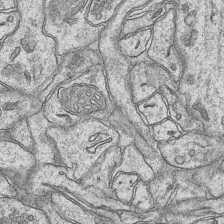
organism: Mouse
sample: CA1 Hippocampus